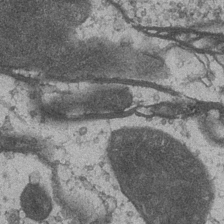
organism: Drosophila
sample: Optic medulla